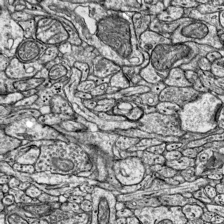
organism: Mouse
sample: Visual Cortex